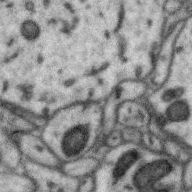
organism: Zebra finch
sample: Brain